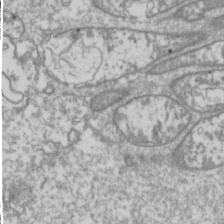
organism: Drosophila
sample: Cell division; meiosis; drosophila spermatocytes